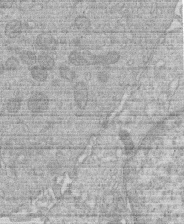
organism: Human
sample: Macrophage cells